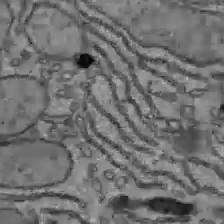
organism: C57BL Mouse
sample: Liver